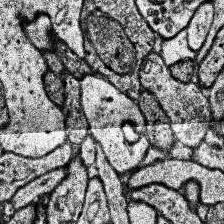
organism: Human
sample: Temporal Lobe